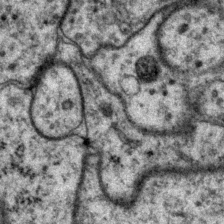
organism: P. pacificus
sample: Pharynx